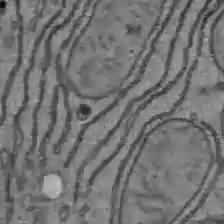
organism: C57BL Mouse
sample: Liver